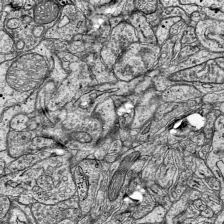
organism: Mouse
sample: Visual Cortex